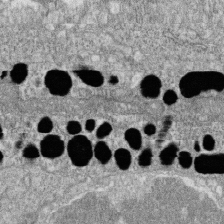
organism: Zebrafish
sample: Cilia; retinal pigment epithelium